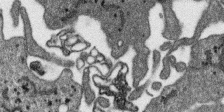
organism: Human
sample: Lung epithelial cells infected with SARS-CoV-2